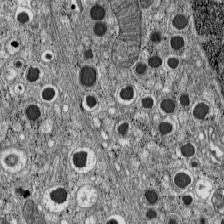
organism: C57BL Mouse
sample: Pancreatic islet